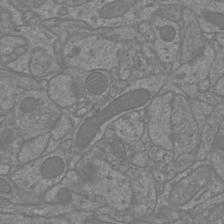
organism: Mouse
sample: Cortical neurons